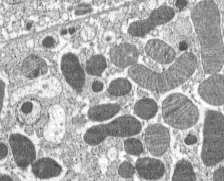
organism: C57BL Mouse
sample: Pancreatic islet